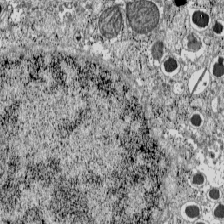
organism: C57BL Mouse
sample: Pancreatic islet